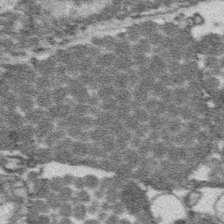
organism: Platynereis dumerilii